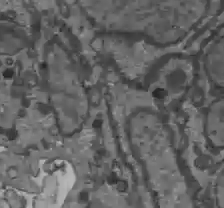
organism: C57BL Mouse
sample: Liver